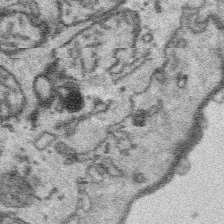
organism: Platynereis dumerilii